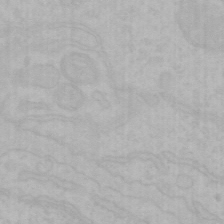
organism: Mouse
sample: Choroid plexus